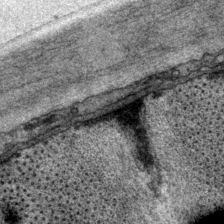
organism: P. pacificus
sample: Pharynx